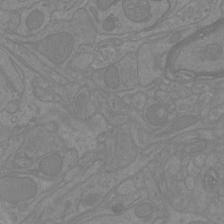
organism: Mouse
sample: Cortical neurons